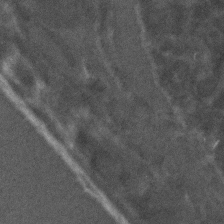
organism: C. elegans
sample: C. elegans embryo